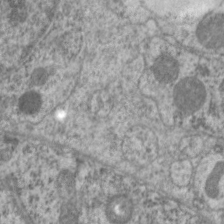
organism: C. elegans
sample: Pharynx